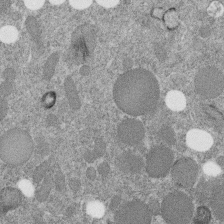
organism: C. elegans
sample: C. elegans embryo early stage